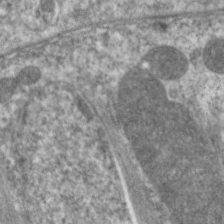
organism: C. elegans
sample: Pharynx